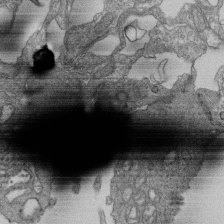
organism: Human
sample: Retinal organoid Rod and Cone cells